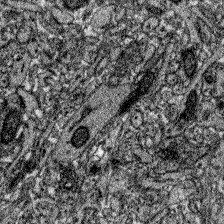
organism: Zebrafish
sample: Larval olfactory bulb